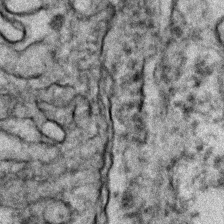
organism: Zebrafish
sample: Zebrafish embryo